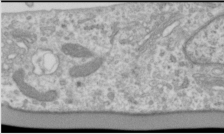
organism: Human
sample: Cilia; basal body in RPE cells